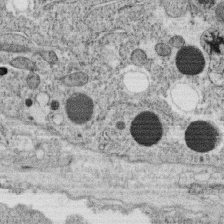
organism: C. elegans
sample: C. elegans oocyte; sperm cells